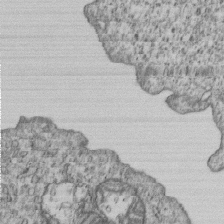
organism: Human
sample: MDA-MB-231 cells